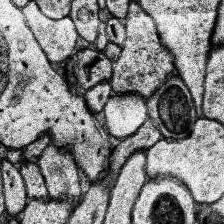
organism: Human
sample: Temporal Lobe